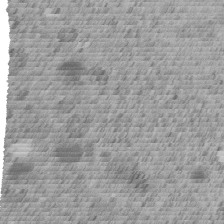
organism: C. elegans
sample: C. elegans embryo early stage